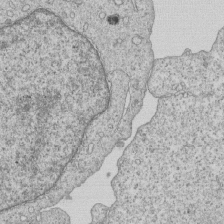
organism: Human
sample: MDA-MB-231 cells